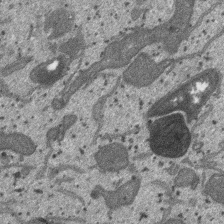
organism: Human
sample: Lung epithelial cells infected with SARS-CoV-2